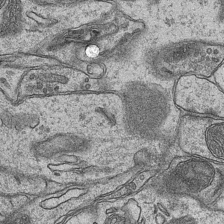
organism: Mouse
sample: CA1 Hippocampus